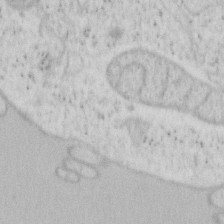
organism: Human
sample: HeLa cells